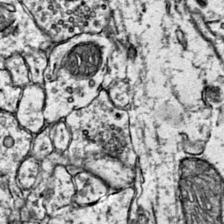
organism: Mouse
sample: Primary visual cortex